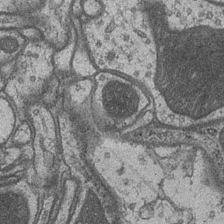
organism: Drosophila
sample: Optic medulla